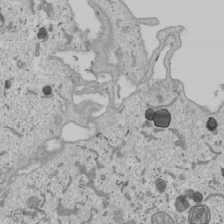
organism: Human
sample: Mitochondria in U2OS cells